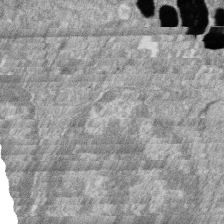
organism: Zebrafish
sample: Cilia; retinal pigment epithelium